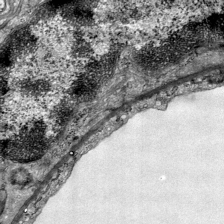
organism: Mouse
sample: Visual Cortex